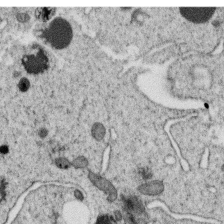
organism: C. elegans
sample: C. elegans oocyte; sperm cells